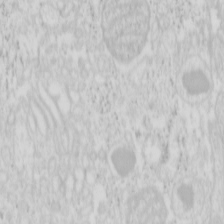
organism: Mouse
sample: Pancreas